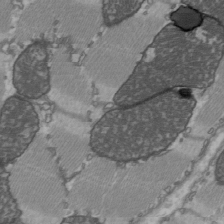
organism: C57BL Mouse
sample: Heart